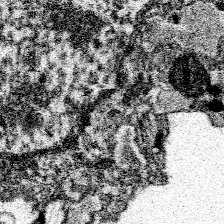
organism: Spongilla lacustris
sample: Neuroid cell